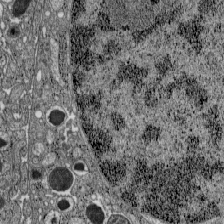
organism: C57BL Mouse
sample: Pancreatic islet